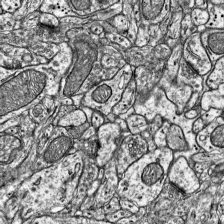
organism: Mouse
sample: Visual Cortex